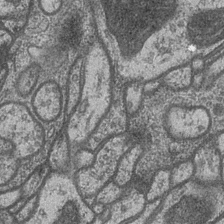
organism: Drosophila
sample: Optic medulla